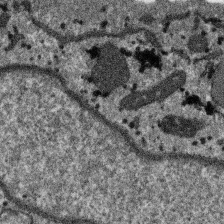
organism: Human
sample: Lung epithelial cells infected with SARS-CoV-2